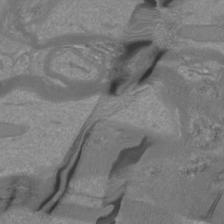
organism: Mouse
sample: Cortical neurons